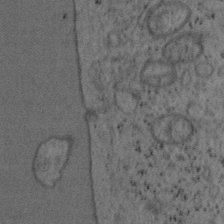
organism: Human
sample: HeLa cells